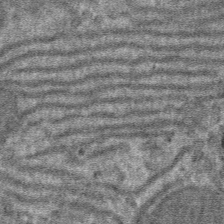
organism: Mouse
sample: Mouse hepatocytes